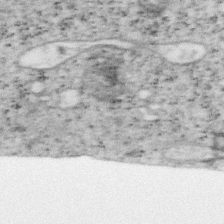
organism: Mouse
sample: OT-I killer T cells with ID8 ovarian cancer cells